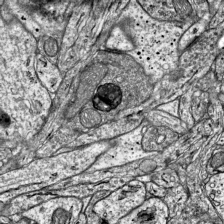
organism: Mouse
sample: Visual Cortex